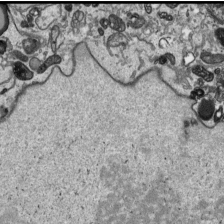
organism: Human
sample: Mitochondria in HCT116 cells